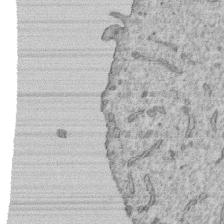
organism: Human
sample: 1205lu cells